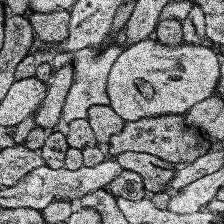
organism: Human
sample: Temporal Lobe